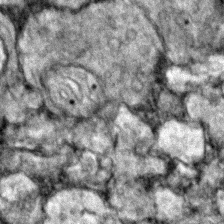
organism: Zebrafish